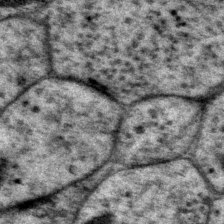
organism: P. pacificus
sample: Pharynx